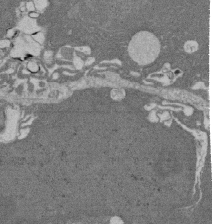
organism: Rat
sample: Salivary granule